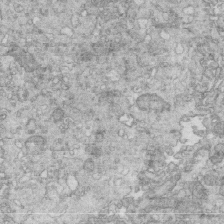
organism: Mouse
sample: Multiciliated cells